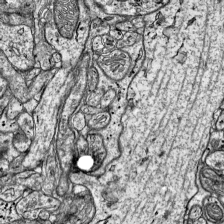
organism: Mouse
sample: Visual Cortex